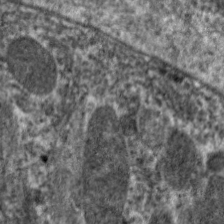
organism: C. elegans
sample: Pharynx